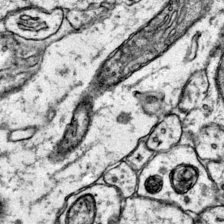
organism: Mouse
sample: Primary visual cortex